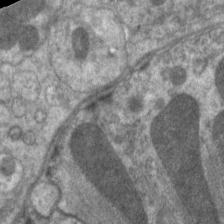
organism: C. elegans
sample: Pharynx